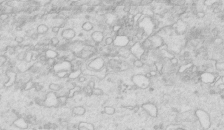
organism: Mouse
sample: Multiciliated cells